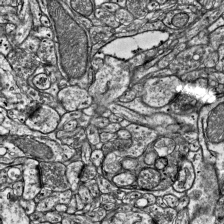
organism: Mouse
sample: Visual Cortex